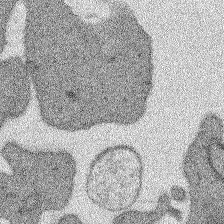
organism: Human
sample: HeLa cells